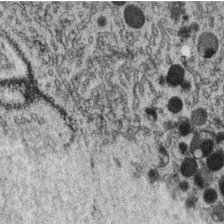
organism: C. elegans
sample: C. elegans oocyte; sperm cells